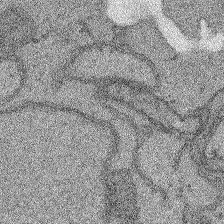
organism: Human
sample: HeLa cells